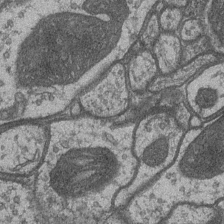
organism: Drosophila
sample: Optic medulla